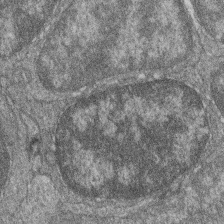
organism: Zebrafish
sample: Cilia; retinal pigment epithelium